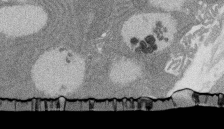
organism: Rat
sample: Salivary granule